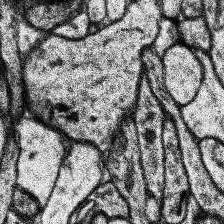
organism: Human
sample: Temporal Lobe